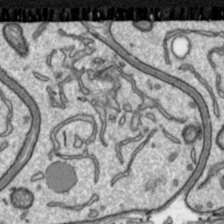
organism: Toxoplasma gondii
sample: Parasites in a vacuole inside a host cell